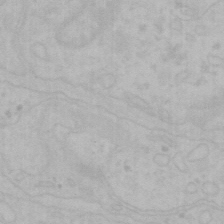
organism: Mouse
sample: Choroid plexus